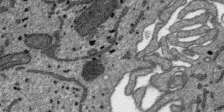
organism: Human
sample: Lung epithelial cells, uninfected (mock) control